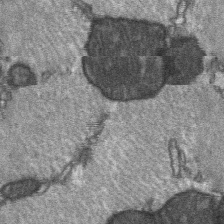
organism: C57BL Mouse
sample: Soleus